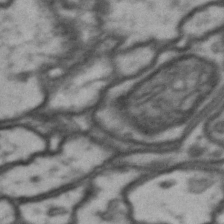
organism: Drosophila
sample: Brain